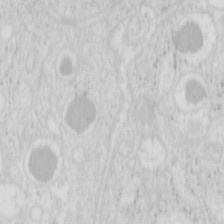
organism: Mouse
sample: Pancreas